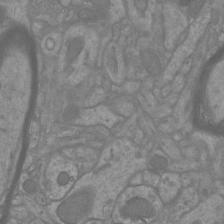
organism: Mouse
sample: Cortical neurons